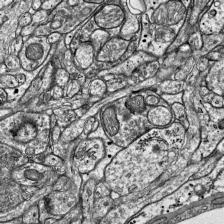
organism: Mouse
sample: Visual Cortex